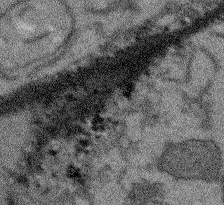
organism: Arabidopsis thaliana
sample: Root tip